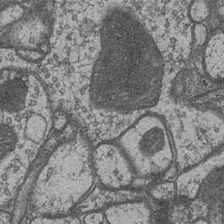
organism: Drosophila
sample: Optic medulla